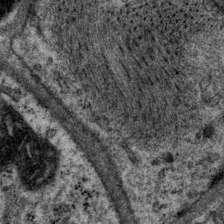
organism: P. pacificus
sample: Pharynx